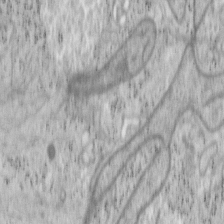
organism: Human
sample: HeLa cells